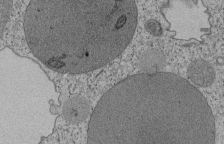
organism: Tetrahymena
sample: Cilia in tetrahymena